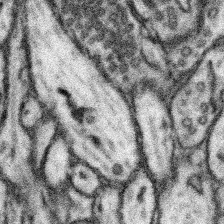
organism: Mouse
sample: Somatosensory cortex neuropil